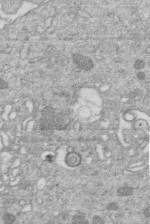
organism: Human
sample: Macrophage cells